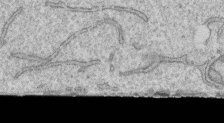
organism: Human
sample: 1205lu cells